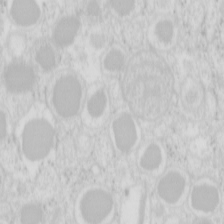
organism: Mouse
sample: Pancreas